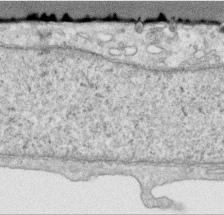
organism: Human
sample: Centriole in RPE cells